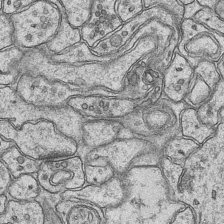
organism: Mouse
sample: CA1 Hippocampus